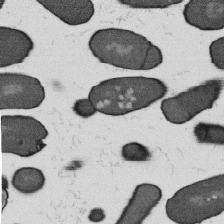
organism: B. subtilis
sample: Bacterial spore